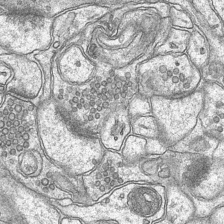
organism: Mouse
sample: CA1 Hippocampus